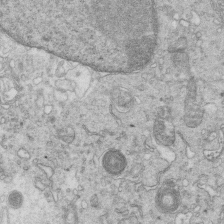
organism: Mouse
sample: Multiciliated cells